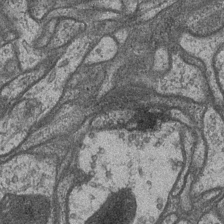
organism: Drosophila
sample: Optic medulla